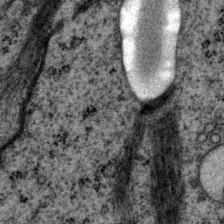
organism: P. pacificus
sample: Pharynx